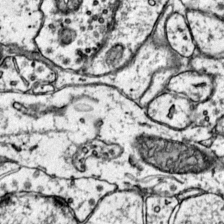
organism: Mouse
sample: Primary visual cortex